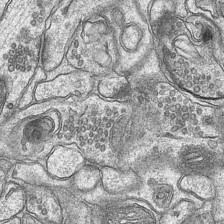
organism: Mouse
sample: CA1 Hippocampus